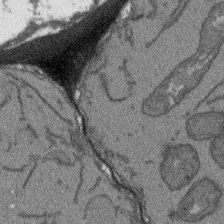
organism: Arabidopsis thaliana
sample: Root tip